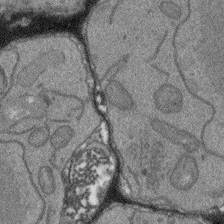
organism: Arabidopsis thaliana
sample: Root tip